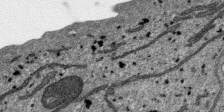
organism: Human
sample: Lung epithelial cells, uninfected (mock) control